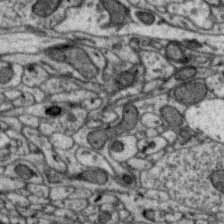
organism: Zebra finch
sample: Brain